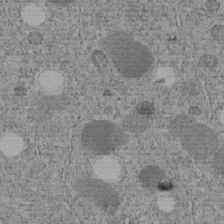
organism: C. elegans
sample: C. elegans embryo early stage